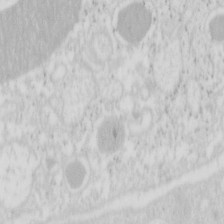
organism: Mouse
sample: Pancreas